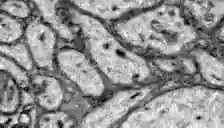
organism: Zebrafish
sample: Brain